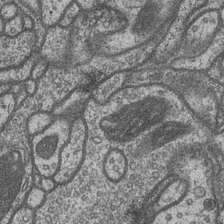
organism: Drosophila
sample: Optic medulla